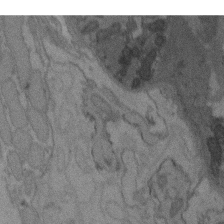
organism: C. elegans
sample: AFD neurons C. elegans